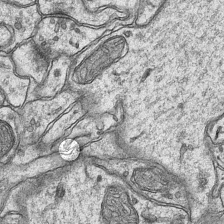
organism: Mouse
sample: CA1 Hippocampus